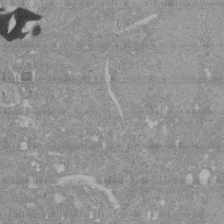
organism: Mouse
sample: ED-1 cell nuclei; centrioles